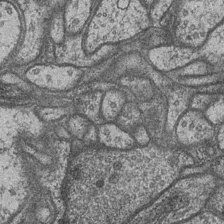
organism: Drosophila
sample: Optic medulla